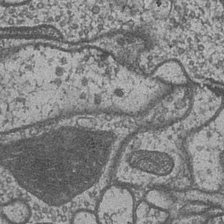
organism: Drosophila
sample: Optic medulla